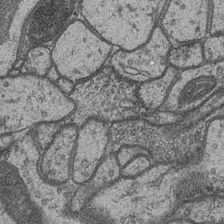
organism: Drosophila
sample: Optic medulla